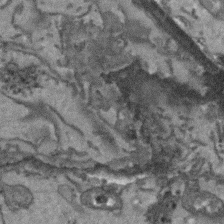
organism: Arabidopsis thaliana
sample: Root tip